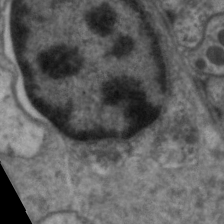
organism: C. elegans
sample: Pharynx